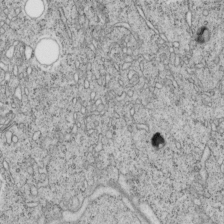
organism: C. elegans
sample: C. elegans embryo early stage